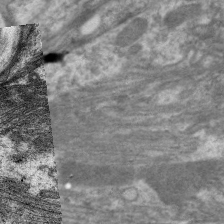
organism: C. elegans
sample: Pharynx